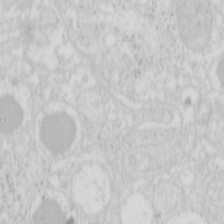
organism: Mouse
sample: Pancreas